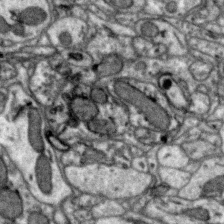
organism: Zebra finch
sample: Brain